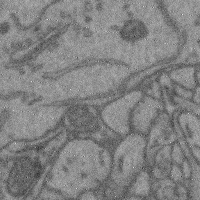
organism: Mouse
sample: Cerebral cortex